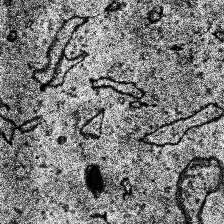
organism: Human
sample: Temporal Lobe